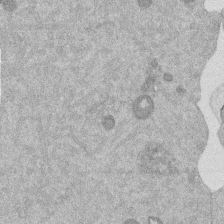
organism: Mouse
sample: Dividing mouse embryo 1 cell stage